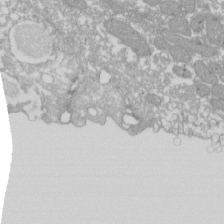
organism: Xenopus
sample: Cilia; centrioles in frog embryo cells